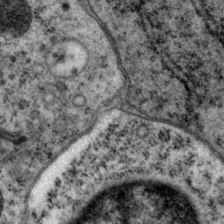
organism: P. pacificus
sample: Pharynx